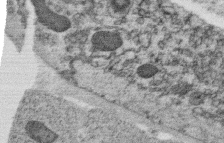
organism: C. elegans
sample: C. elegans oocyte; sperm cells